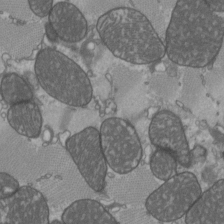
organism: C57BL Mouse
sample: Heart